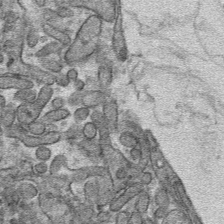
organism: Mouse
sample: Mouse hepatocytes